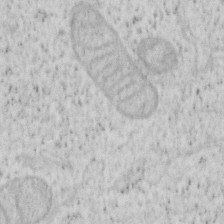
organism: Human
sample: HeLa cells